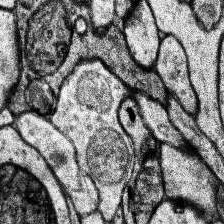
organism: Human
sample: Temporal Lobe